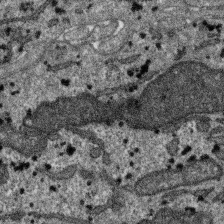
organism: Human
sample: Lung epithelial cells infected with SARS-CoV-2